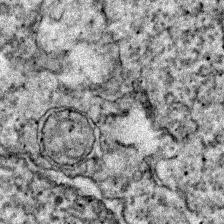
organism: Zebrafish